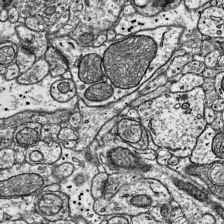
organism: Mouse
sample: Visual Cortex